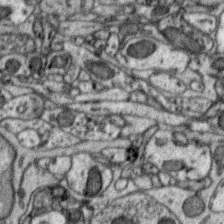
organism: Zebra finch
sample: Brain